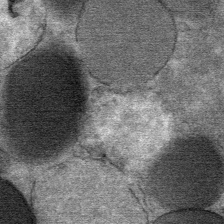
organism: Mouse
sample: Mouse Salivary gland